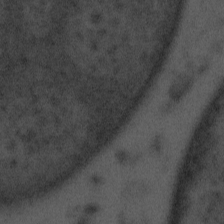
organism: Tuwongella immobilis